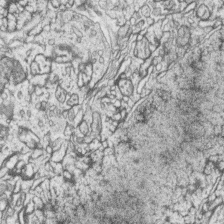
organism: Zebrafish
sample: synaptic ribbons in rod cells and cone cells